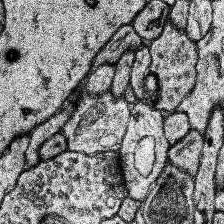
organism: Human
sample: Temporal Lobe